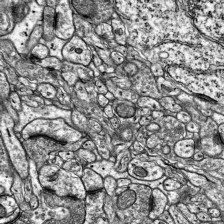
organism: Mouse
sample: Visual Cortex